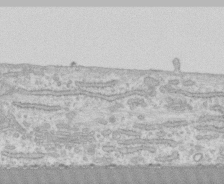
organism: Human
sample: CRL-1474